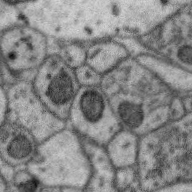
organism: Zebra finch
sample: Brain